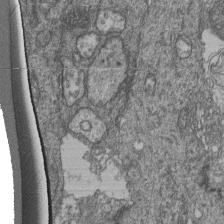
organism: Human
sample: Retinal organoid Rod and Cone cells